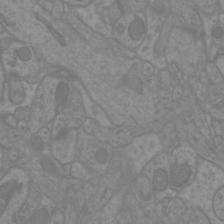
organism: Mouse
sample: Cortical neurons